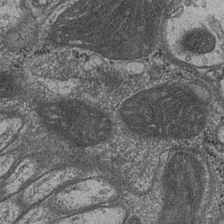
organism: Drosophila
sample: Optic medulla